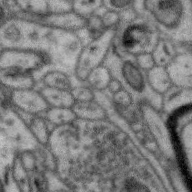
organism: Zebra finch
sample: Brain